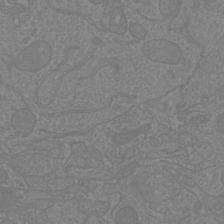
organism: Mouse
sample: Cortical neurons